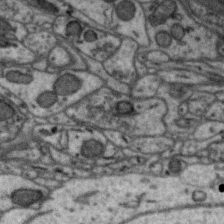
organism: Zebra finch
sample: Brain